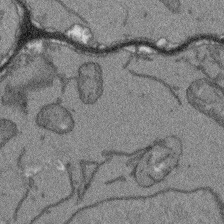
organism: Arabidopsis thaliana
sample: Root tip